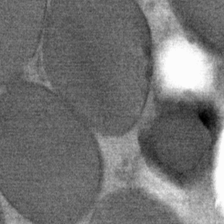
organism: Mouse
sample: Mouse Salivary gland